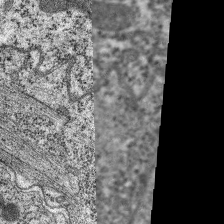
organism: C. elegans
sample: Pharynx